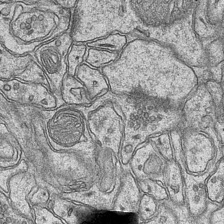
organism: Mouse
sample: CA1 Hippocampus